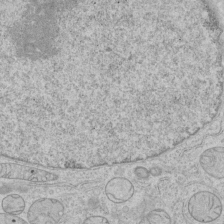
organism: Human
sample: Mitochondria in HCT116 cells